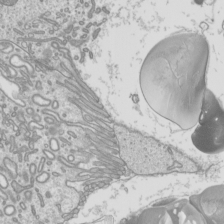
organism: Mouse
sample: Cilia; mouse epididymis